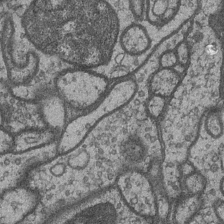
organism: Drosophila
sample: Optic medulla